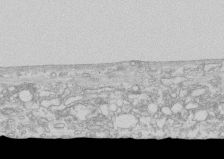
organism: Human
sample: CRL-1474